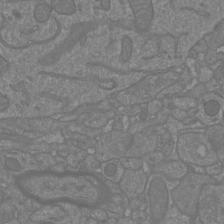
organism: Mouse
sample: Cortical neurons